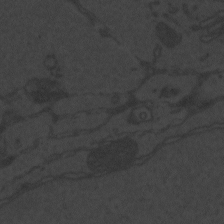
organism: Zebrafish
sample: Macrophage infected with Toxoplasma gondii